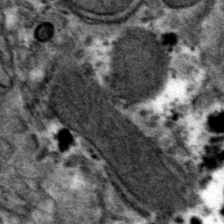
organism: Mouse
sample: Mouse hepatocytes